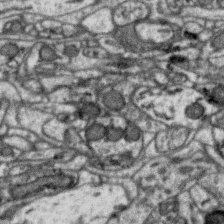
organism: Zebra finch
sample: Brain